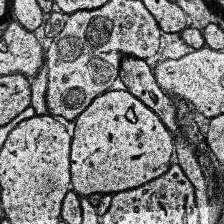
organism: Human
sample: Temporal Lobe